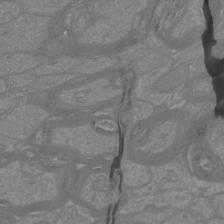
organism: Mouse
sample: Cortical neurons